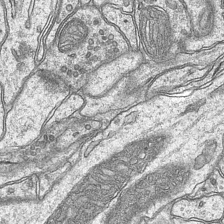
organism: Mouse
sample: CA1 Hippocampus